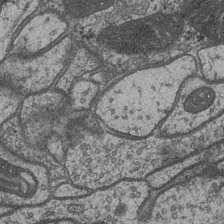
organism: Drosophila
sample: Optic medulla